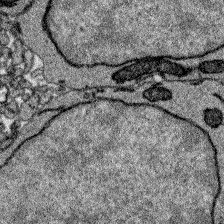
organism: Zebrafish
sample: Larval olfactory bulb